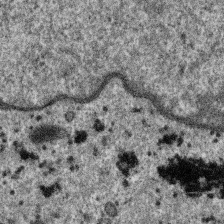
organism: Human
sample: Lung epithelial cells infected with SARS-CoV-2